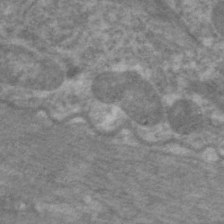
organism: C. elegans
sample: Pharynx